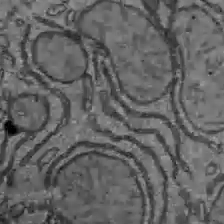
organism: C57BL Mouse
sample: Liver